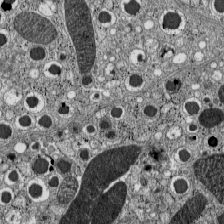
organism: C57BL Mouse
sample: Pancreatic islet